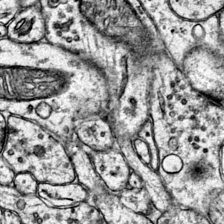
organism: Mouse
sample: Primary visual cortex